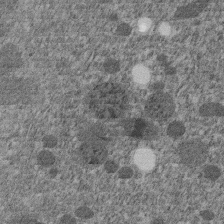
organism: C. elegans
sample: C. elegans embryo early stage